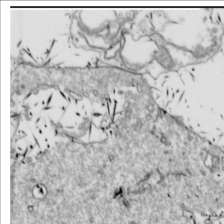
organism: Drosophila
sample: Cell division; meiosis; drosophila spermatocytes